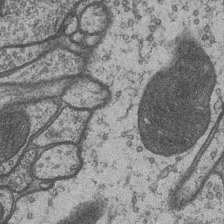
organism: Drosophila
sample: Optic medulla